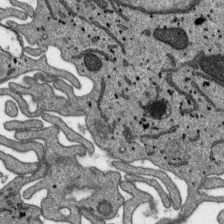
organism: Human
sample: Lung epithelial cells, uninfected (mock) control